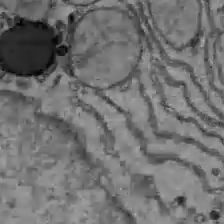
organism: C57BL Mouse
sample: Liver